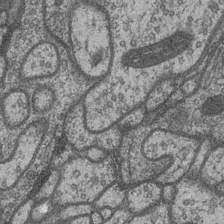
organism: Drosophila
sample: Optic medulla